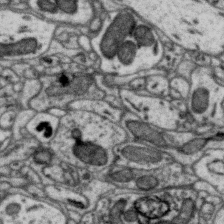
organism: Zebra finch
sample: Brain